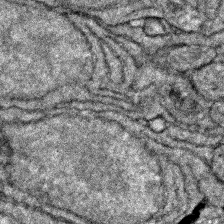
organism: Zebrafish